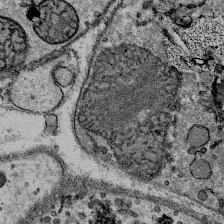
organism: Mouse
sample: Mouse Salivary gland